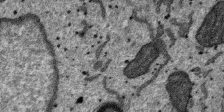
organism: Human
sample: Lung epithelial cells, uninfected (mock) control